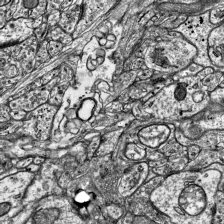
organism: Mouse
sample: Visual Cortex